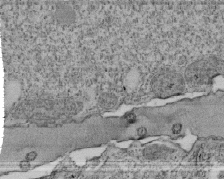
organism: Tetrahymena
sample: Cilia in tetrahymena